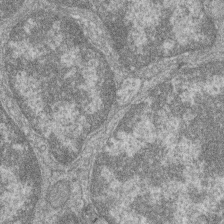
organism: Zebrafish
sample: Cilia; retinal pigment epithelium